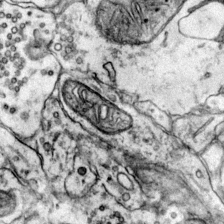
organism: Mouse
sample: Primary visual cortex